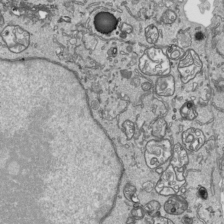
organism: Human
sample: Mitochondria in HCT116 cells